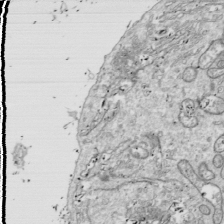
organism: Drosophila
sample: Cell division; meiosis; drosophila spermatocytes